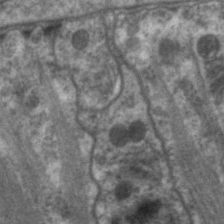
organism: C. elegans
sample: Pharynx